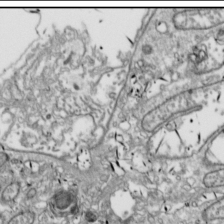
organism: Drosophila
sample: Cell division; meiosis; drosophila spermatocytes